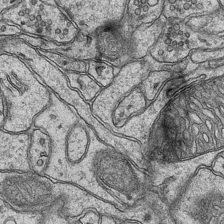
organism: Mouse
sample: CA1 Hippocampus